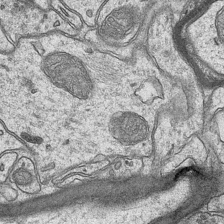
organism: Mouse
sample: CA1 Hippocampus